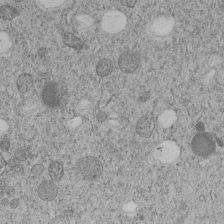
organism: C. elegans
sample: C. elegans embryo early stage